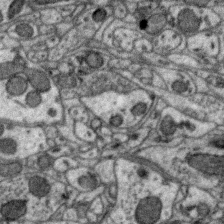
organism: Zebra finch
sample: Brain